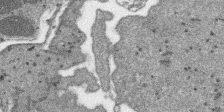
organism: Human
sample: Lung epithelial cells infected with SARS-CoV-2